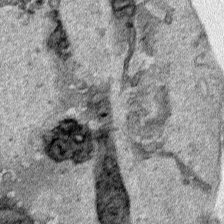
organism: Human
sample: Mitochondria in HCT116 cells